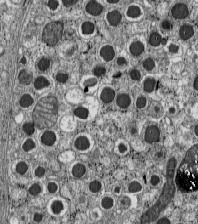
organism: C57BL Mouse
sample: Pancreatic islet